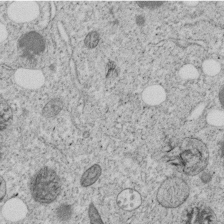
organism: C. elegans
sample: C. elegans embryo early stage